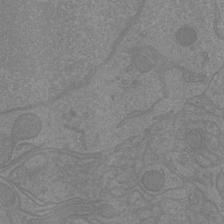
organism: Mouse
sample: Cortical neurons